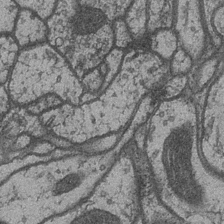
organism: Drosophila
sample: Optic medulla